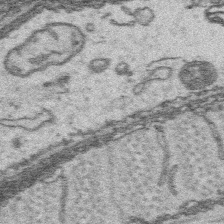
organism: Platynereis dumerilii